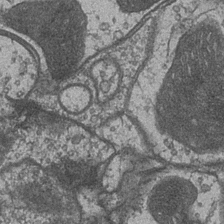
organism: Drosophila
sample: Optic medulla